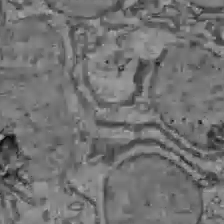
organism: C57BL Mouse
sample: Liver